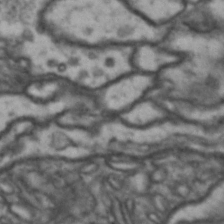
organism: Drosophila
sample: Brain